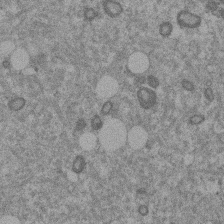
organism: Mouse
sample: Dividing mouse embryo 1 cell stage